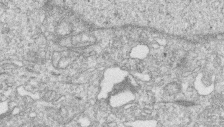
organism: Human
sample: HeLa cell HIV synapse